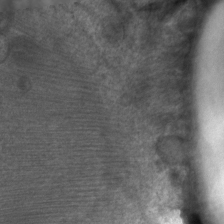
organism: C. elegans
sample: Pharynx